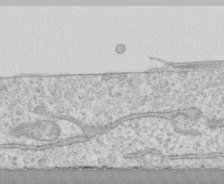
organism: Human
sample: CRL-1474